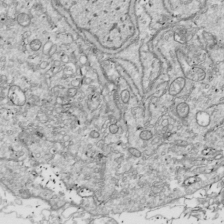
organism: Drosophila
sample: Cell division; meiosis; drosophila spermatocytes